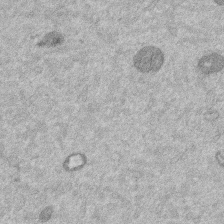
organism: Mouse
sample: Dividing mouse embryo 1 cell stage